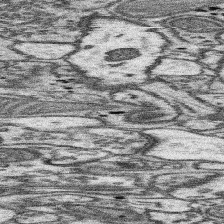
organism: Mouse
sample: Somatosensory cortex neuropil